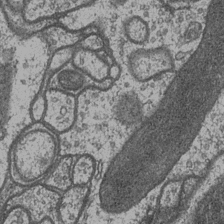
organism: Drosophila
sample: Optic medulla